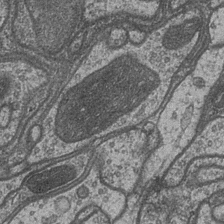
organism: Drosophila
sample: Optic medulla